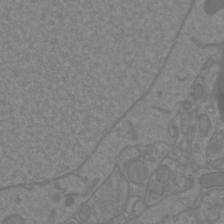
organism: Mouse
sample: Cortical neurons